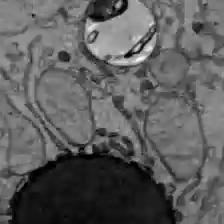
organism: C57BL Mouse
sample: Liver